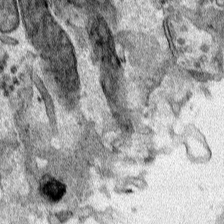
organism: Human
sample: Mitochondria in HCT116 cells